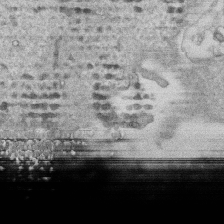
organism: Human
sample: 1205lu cells